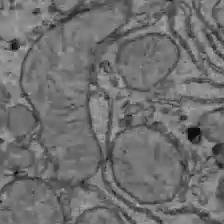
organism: C57BL Mouse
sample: Liver